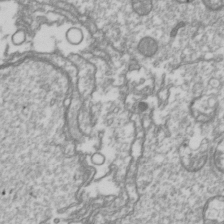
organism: Drosophila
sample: Cell division; meiosis; drosophila spermatocytes